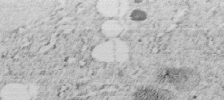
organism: C. elegans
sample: C. elegans embryo early stage